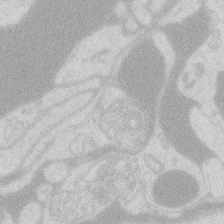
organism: Zebrafish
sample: Macrophage